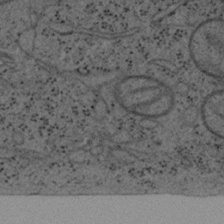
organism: Human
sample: HeLa cells